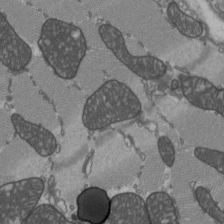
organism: C57BL Mouse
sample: Heart